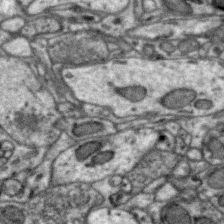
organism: Zebra finch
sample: Brain